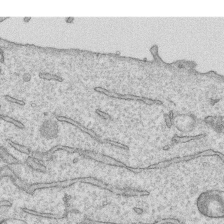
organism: Human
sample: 1205lu cells